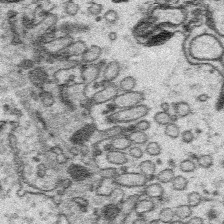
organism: Platynereis dumerilii